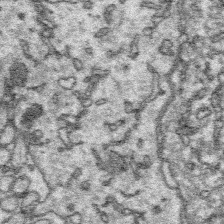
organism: Platynereis dumerilii